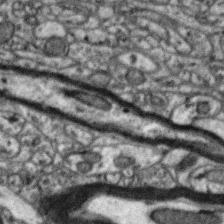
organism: Zebra finch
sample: Brain